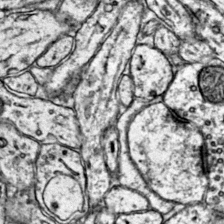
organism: Mouse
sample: Primary visual cortex